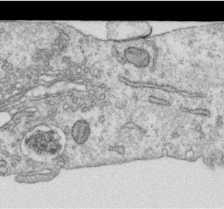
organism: Human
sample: Centriole in RPE cells